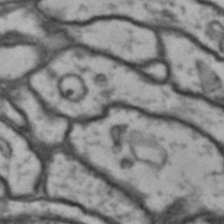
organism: Drosophila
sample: Brain